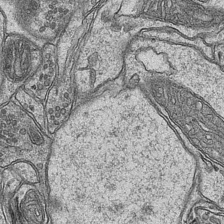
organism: Mouse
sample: CA1 Hippocampus